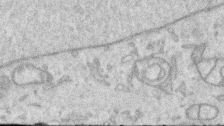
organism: Human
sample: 1205lu cells